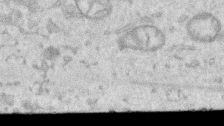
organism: Human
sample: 1205lu cells